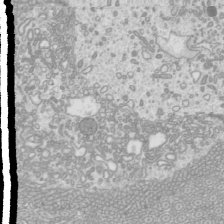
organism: Mouse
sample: Cilia; mouse epididymis